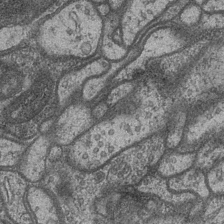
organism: Drosophila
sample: Optic medulla